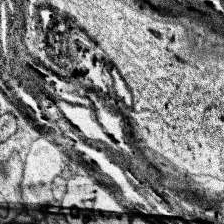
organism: Human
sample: Temporal Lobe